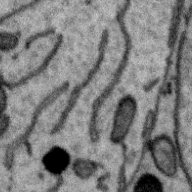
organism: Zebra finch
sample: Brain